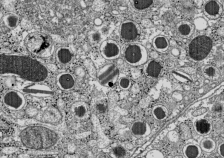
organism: C57BL Mouse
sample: Pancreatic islet